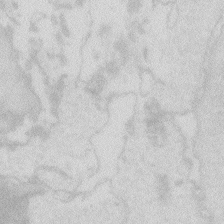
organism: Zebrafish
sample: Macrophage